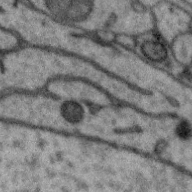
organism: Zebra finch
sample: Brain